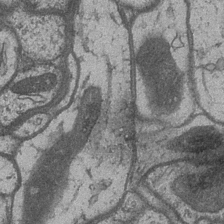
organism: Drosophila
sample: Optic medulla